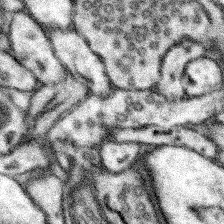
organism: Mouse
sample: Somatosensory cortex neuropil